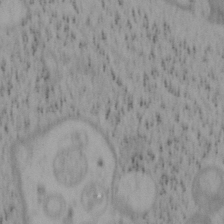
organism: Mouse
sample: OT-I killer T cells with ID8 ovarian cancer cells